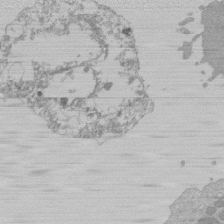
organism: Mouse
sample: Activated Pmel transgenic CD8+ T Cells